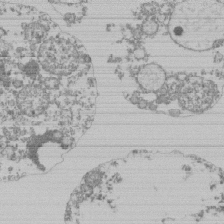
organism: Mouse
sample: Activated Pmel transgenic CD8+ T Cells